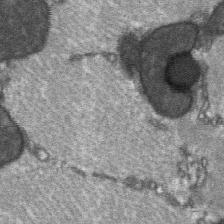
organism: C57BL Mouse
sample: Soleus